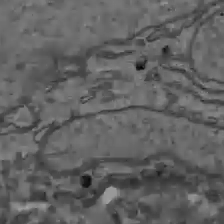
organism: C57BL Mouse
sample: Liver